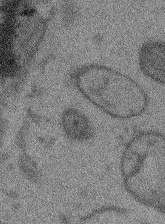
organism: Arabidopsis thaliana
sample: Root tip